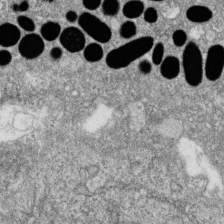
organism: Zebrafish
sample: Cilia; retinal pigment epithelium